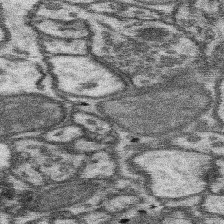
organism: Mouse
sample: Somatosensory cortex neuropil